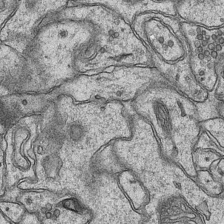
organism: Mouse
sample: CA1 Hippocampus